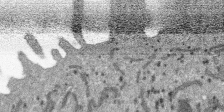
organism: Human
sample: Lung epithelial cells infected with SARS-CoV-2